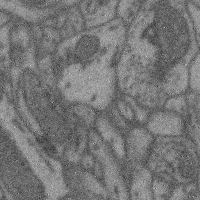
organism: Mouse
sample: Cerebral cortex